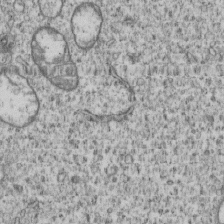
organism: Human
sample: MDA-MB-231 cells